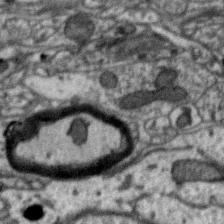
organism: Zebra finch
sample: Brain